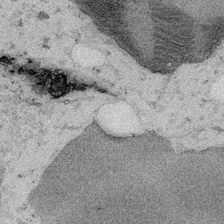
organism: Embia sp.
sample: Silk gland